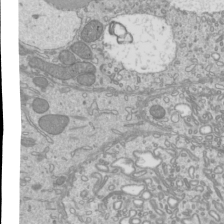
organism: Mouse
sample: Cilia; mouse epididymis